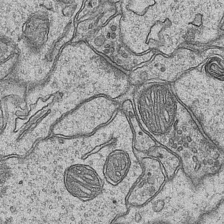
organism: Mouse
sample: CA1 Hippocampus